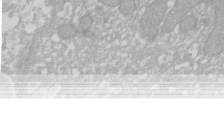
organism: Xenopus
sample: Cilia; centrioles in frog embryo cells